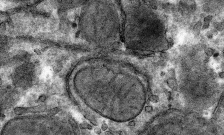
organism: Mouse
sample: Mouse hepatocytes